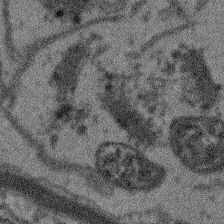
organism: Arabidopsis thaliana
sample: Root tip